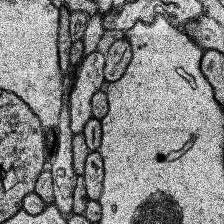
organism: Human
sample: Temporal Lobe